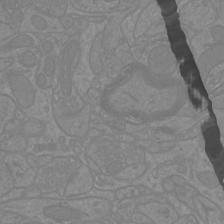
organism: Mouse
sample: Cortical neurons